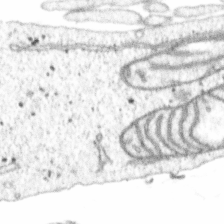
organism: Human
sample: HeLa cells